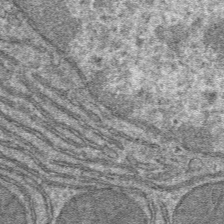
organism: Mouse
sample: Mouse hepatocytes